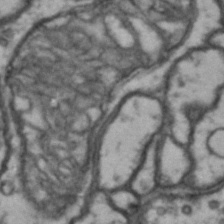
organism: Drosophila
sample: Brain